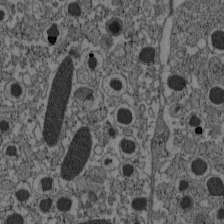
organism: C57BL Mouse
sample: Pancreatic islet